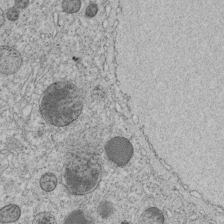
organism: C. elegans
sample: C. elegans embryo early stage